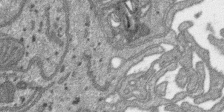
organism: Human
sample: Lung epithelial cells infected with SARS-CoV-2